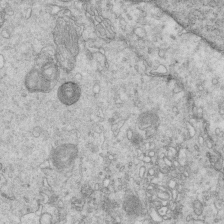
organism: Mouse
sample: Multiciliated cells